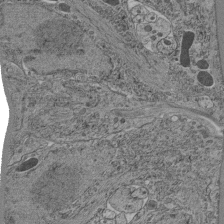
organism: C. elegans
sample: C. elegans pharynx